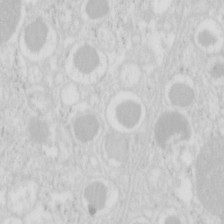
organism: Mouse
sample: Pancreas